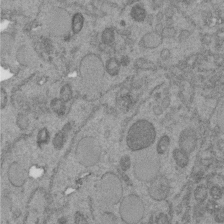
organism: C. elegans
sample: C. elegans embryo early stage